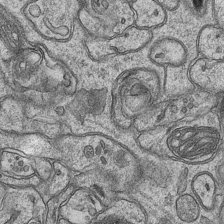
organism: Mouse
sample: CA1 Hippocampus